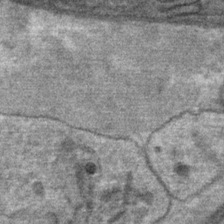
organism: Mouse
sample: Mouse Salivary gland